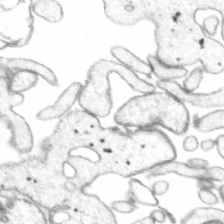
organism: Human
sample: HeLa cells